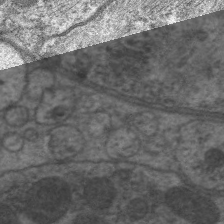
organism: C. elegans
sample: Pharynx